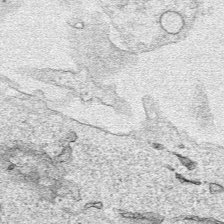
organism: Human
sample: Mitochondria in HCT116 cells